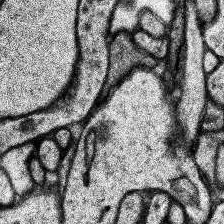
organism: Human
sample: Temporal Lobe